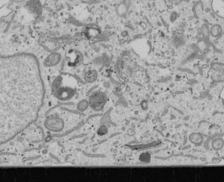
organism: Human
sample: Mitochondria in U2OS cells